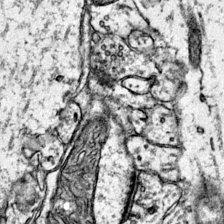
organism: Mouse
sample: Primary visual cortex